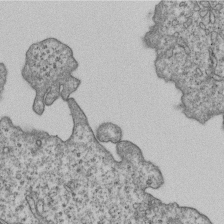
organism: Human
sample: MDA-MB-231 cells